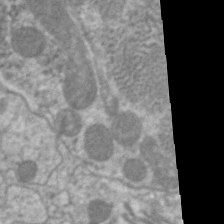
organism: C. elegans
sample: Pharynx